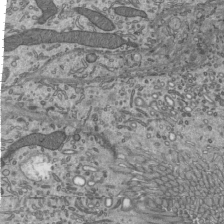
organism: Mouse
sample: Mouse epididymis efferent ductule cilia